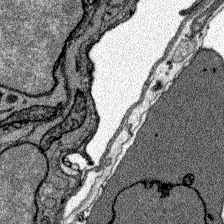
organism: Zebrafish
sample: Larval olfactory bulb